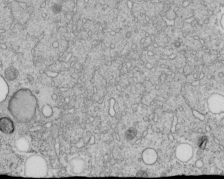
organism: C. elegans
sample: C. elegans embryo early stage